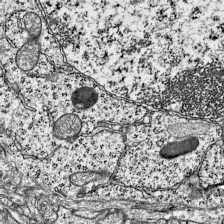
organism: Mouse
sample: Visual Cortex